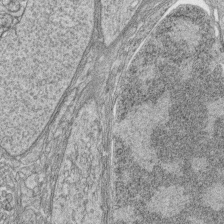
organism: Zebrafish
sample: synaptic ribbons in rod cells and cone cells